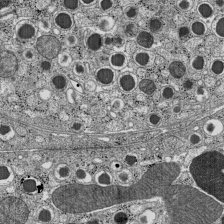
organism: C57BL Mouse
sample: Pancreatic islet